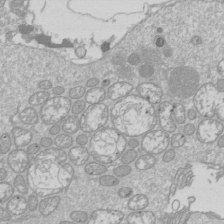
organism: Drosophila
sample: Cell division; meiosis; drosophila spermatocytes